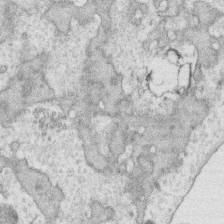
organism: Human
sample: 1205lu cells